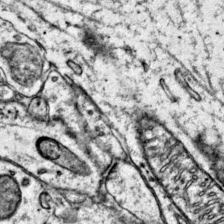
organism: Mouse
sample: Primary visual cortex